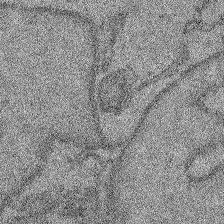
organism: Human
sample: HeLa cells